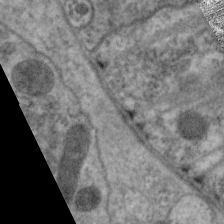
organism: C. elegans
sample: Pharynx